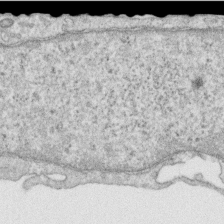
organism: Human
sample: Centriole in RPE cells